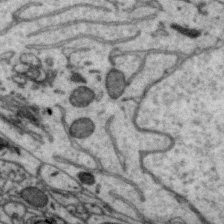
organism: Zebra finch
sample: Brain